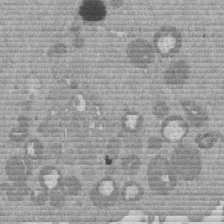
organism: Mouse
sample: Dividing mouse embryo 1 cell stage